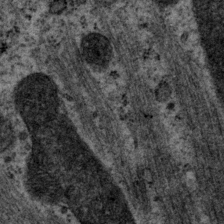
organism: P. pacificus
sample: Pharynx